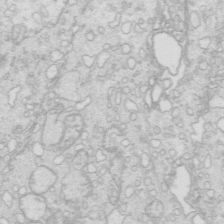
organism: Mouse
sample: Multiciliated cells